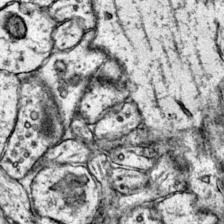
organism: Mouse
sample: Primary visual cortex